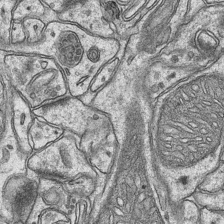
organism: Mouse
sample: CA1 Hippocampus